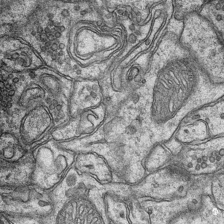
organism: Mouse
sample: CA1 Hippocampus